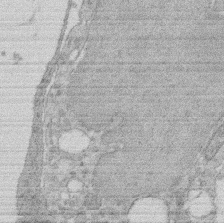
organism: Rat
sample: Salivary granule